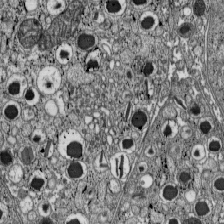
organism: C57BL Mouse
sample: Pancreatic islet